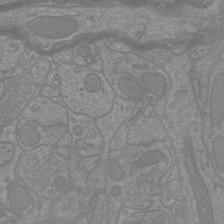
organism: Mouse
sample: Cortical neurons